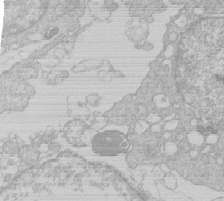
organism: Human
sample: Macrophage cells